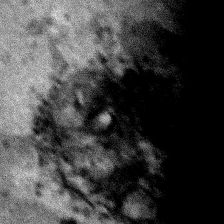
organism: Human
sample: Mitochondria in HCT116 cells